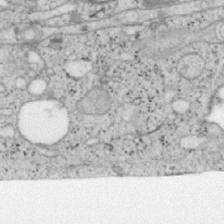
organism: Mouse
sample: OT-I killer T cells with ID8 ovarian cancer cells